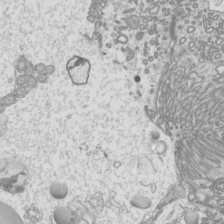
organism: Mouse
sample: Cilia; mouse epididymis